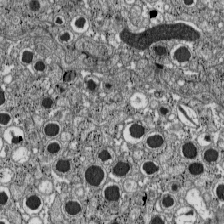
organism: C57BL Mouse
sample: Pancreatic islet